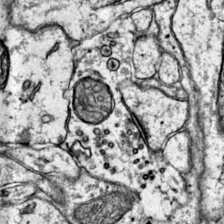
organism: Mouse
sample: Primary visual cortex